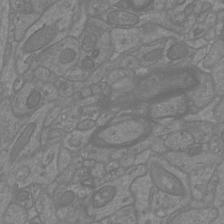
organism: Mouse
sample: Cortical neurons